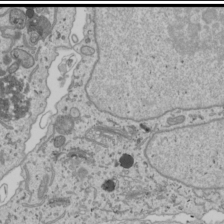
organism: Human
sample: Mitochondria in U2OS cells